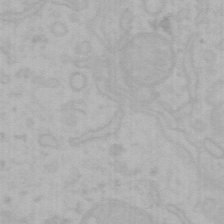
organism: Mouse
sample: Choroid plexus